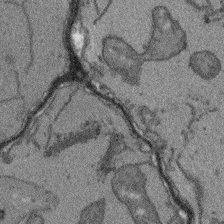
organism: Arabidopsis thaliana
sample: Root tip